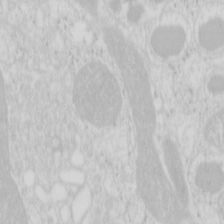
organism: Mouse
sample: Pancreas